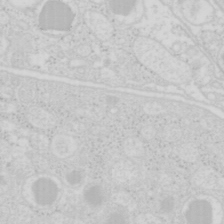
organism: Mouse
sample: Pancreas